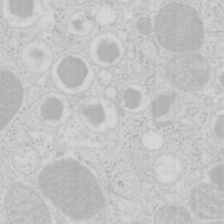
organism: Mouse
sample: Pancreas